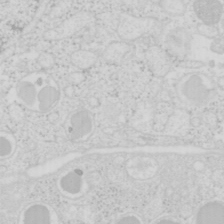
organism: Mouse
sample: Pancreas